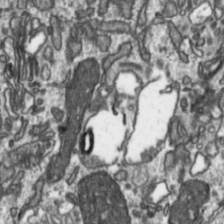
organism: Toxoplasma gondii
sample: Parasites in a vacuole inside a host cell